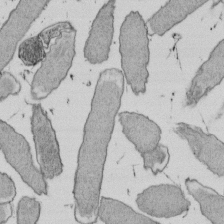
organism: E. coli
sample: Bacterial nucleoid